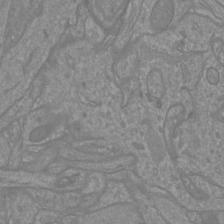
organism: Mouse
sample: Cortical neurons